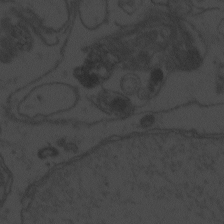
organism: Zebrafish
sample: Macrophage infected with Toxoplasma gondii